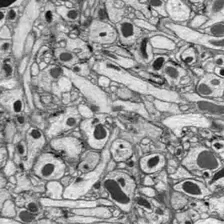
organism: Drosophila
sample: Optic lobe